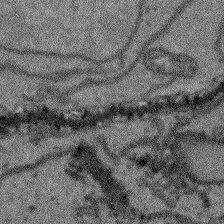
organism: Arabidopsis thaliana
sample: Root tip